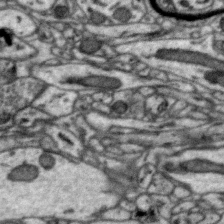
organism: Zebra finch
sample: Brain